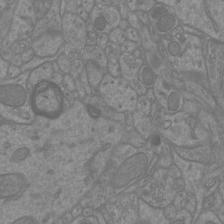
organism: Mouse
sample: Cortical neurons